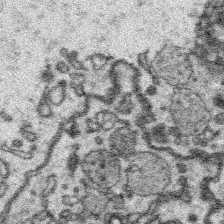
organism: Platynereis dumerilii